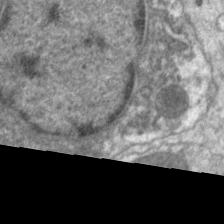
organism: C. elegans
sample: Pharynx